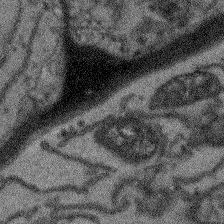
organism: Arabidopsis thaliana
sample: Root tip